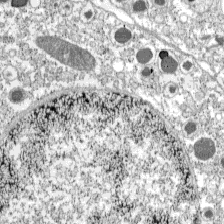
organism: C57BL Mouse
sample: Pancreatic islet